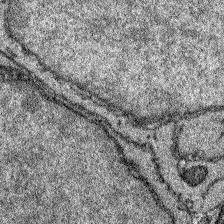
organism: Zebrafish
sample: Larval olfactory bulb